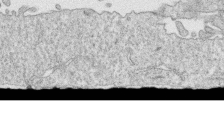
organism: Human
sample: HeLa cell HIV synapse